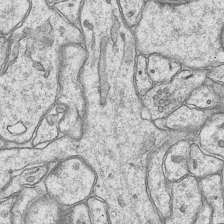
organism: Mouse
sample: CA1 Hippocampus